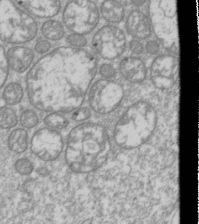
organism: Drosophila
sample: Cell division; meiosis; drosophila spermatocytes